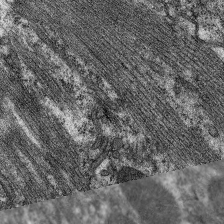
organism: C. elegans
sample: Pharynx